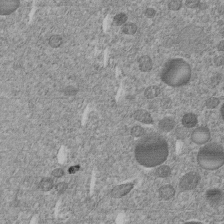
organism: C. elegans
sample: C. elegans embryo early stage